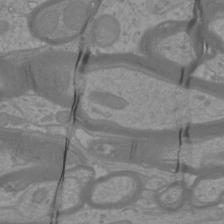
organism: Mouse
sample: Cortical neurons